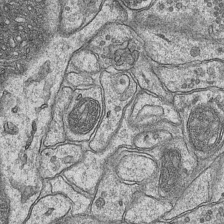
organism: Mouse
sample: CA1 Hippocampus